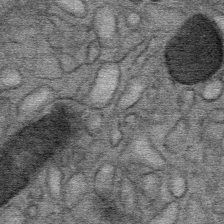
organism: Mouse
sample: Mouse Salivary gland